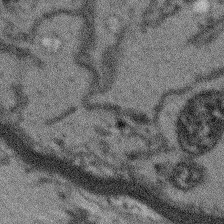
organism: Arabidopsis thaliana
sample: Root tip